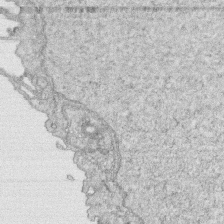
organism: Human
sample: HeLa cell HIV synapse